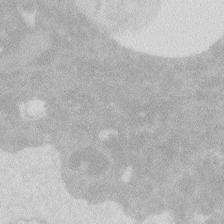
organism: Zebrafish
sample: Macrophage